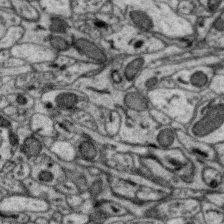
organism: Zebra finch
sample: Brain